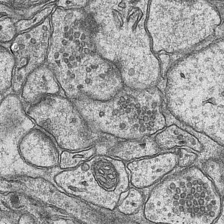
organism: Mouse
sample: CA1 Hippocampus